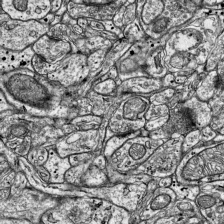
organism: Mouse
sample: Visual Cortex